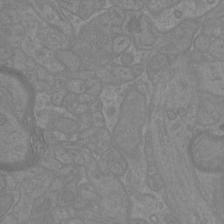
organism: Mouse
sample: Cortical neurons